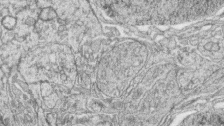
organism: Zebrafish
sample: synaptic ribbons in rod cells and cone cells